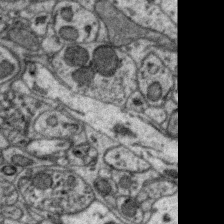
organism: Zebra finch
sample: Brain